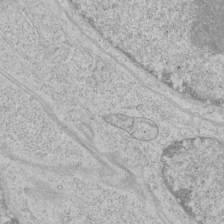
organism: Human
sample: Mitochondria in HCT116 cells